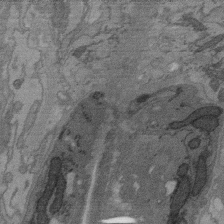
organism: C. elegans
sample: AFD neurons C. elegans